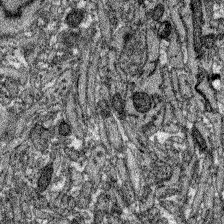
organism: Zebrafish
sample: Larval olfactory bulb